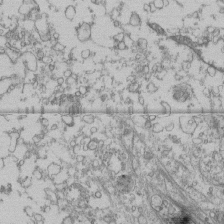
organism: Human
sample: Fibroblast cells